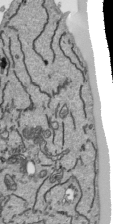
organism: Human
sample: Mitochondria in HCT116 cells